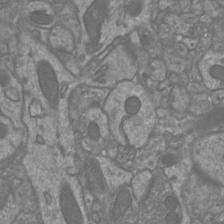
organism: Mouse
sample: Cortical neurons